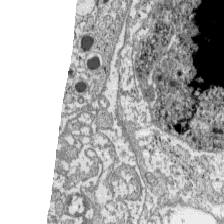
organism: C57BL Mouse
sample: Pancreatic islet